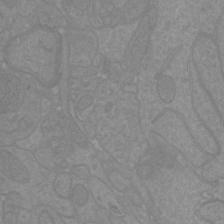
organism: Mouse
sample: Cortical neurons